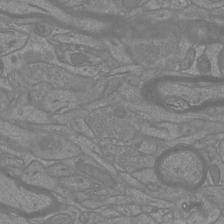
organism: Mouse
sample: Cortical neurons